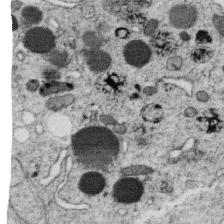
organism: C. elegans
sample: C. elegans oocyte; sperm cells